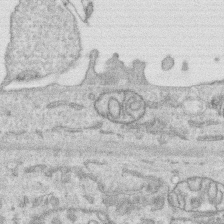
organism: Human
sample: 1205lu cells